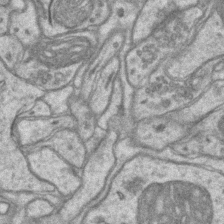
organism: Mouse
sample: CA1 Hippocampus